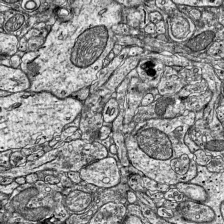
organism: Mouse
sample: Visual Cortex